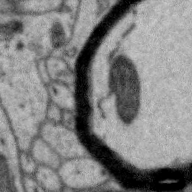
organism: Zebra finch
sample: Brain